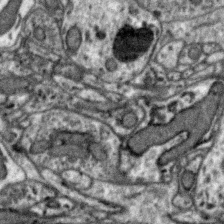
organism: Zebra finch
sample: Brain